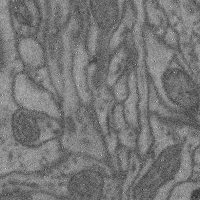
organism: Mouse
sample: Cerebral cortex